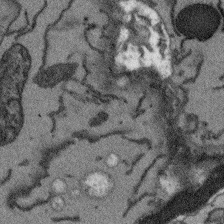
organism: Arabidopsis thaliana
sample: Root tip